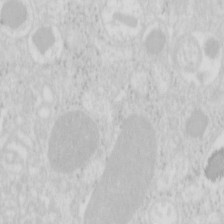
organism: Mouse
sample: Pancreas